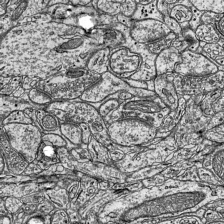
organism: Mouse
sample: Visual Cortex